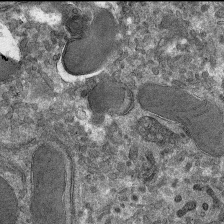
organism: Mouse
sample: Mouse hepatocytes